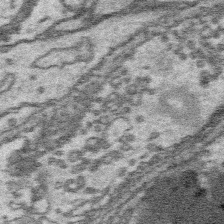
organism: Platynereis dumerilii